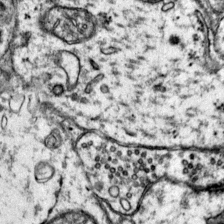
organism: Mouse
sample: Primary visual cortex